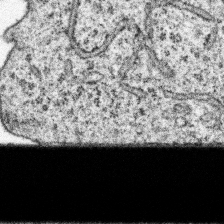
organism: Human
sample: HeLa cells